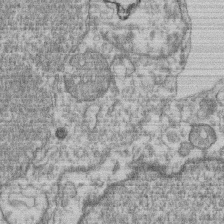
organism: Mouse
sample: T cell stromal cell synapse